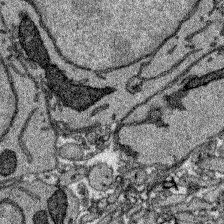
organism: Zebrafish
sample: Larval olfactory bulb